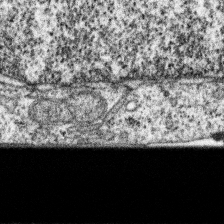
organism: Human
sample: HeLa cells